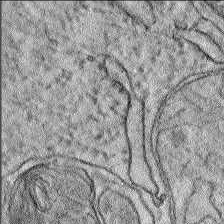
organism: Human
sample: HeLa cells